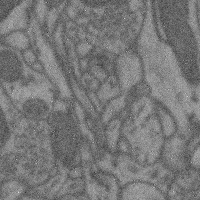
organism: Mouse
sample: Cerebral cortex